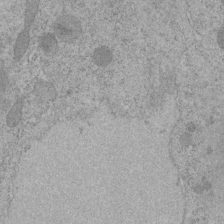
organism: C. elegans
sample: C. elegans embryo early stage